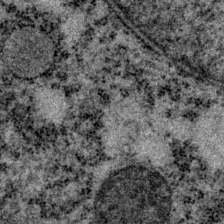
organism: P. pacificus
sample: Pharynx